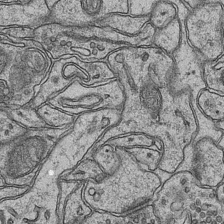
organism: Mouse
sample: CA1 Hippocampus